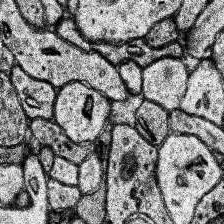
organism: Human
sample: Temporal Lobe